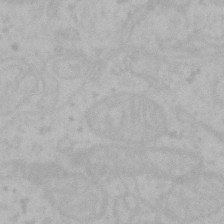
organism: Mouse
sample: Choroid plexus